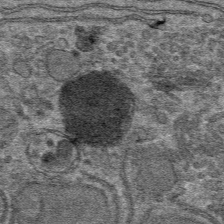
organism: Mouse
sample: Mouse hepatocytes